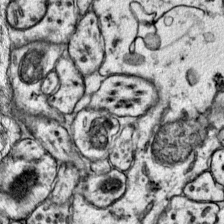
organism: Mouse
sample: Primary visual cortex